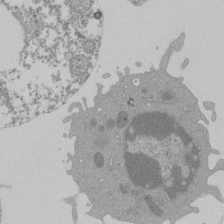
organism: Mouse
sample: Activated Pmel transgenic CD8+ T Cells